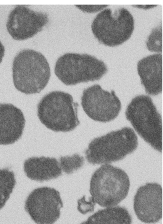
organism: E. coli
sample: Bacterial nucleoid